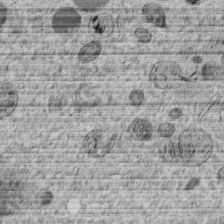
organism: C. elegans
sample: C. elegans embryo early stage